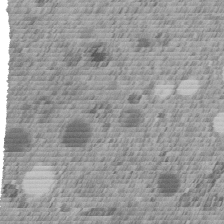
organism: C. elegans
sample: C. elegans embryo early stage